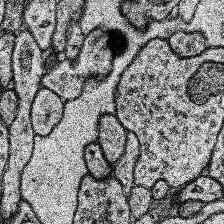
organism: Human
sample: Temporal Lobe